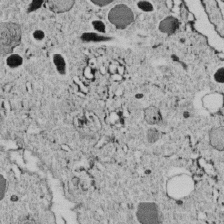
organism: C. elegans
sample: C. elegans embryo early stage